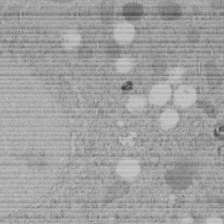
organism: C. elegans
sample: C. elegans embryo early stage